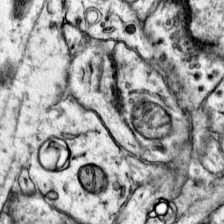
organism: Mouse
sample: Primary visual cortex